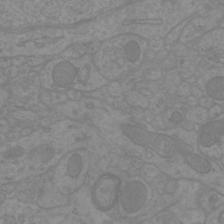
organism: Mouse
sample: Cortical neurons